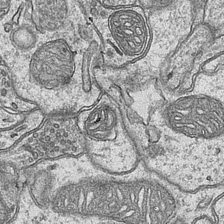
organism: Mouse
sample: CA1 Hippocampus